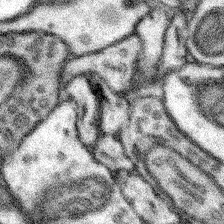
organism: Mouse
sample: Somatosensory cortex neuropil